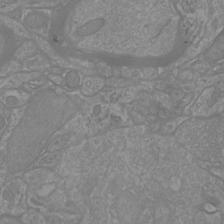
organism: Mouse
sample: Cortical neurons